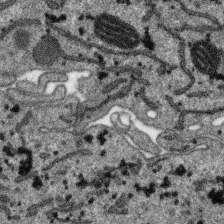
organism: Human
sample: Lung epithelial cells infected with SARS-CoV-2